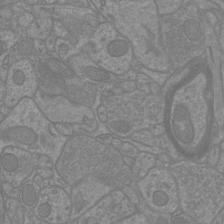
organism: Mouse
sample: Cortical neurons